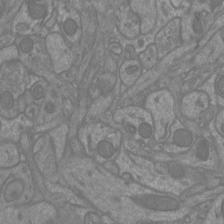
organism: Mouse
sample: Cortical neurons